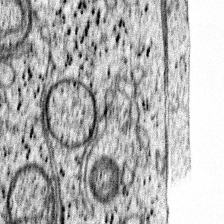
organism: Human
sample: HeLa cells